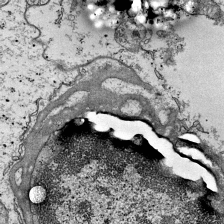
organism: Mouse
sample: Visual Cortex